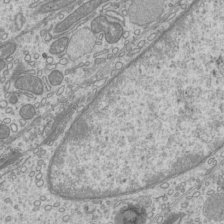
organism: Mouse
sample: Cilia; mouse epididymis